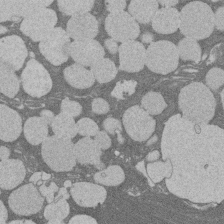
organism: Rat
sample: Salivary granule